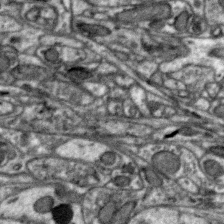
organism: Zebra finch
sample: Brain